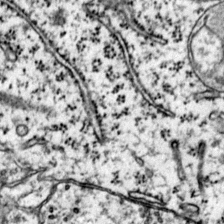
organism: Mouse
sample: Primary visual cortex